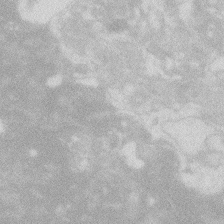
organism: Zebrafish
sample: Macrophage